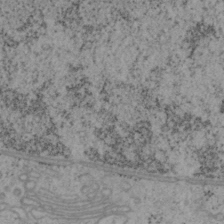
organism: Human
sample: HeLa cells